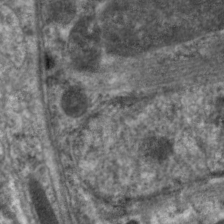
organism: C. elegans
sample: Pharynx